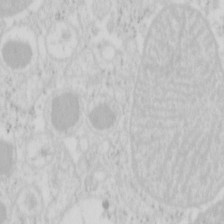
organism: Mouse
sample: Pancreas